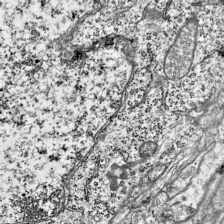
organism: Mouse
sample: Visual Cortex